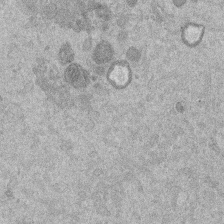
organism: Mouse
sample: Dividing mouse embryo 1 cell stage